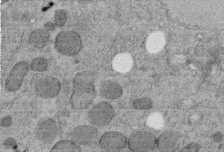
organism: C. elegans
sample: C. elegans embryo early stage